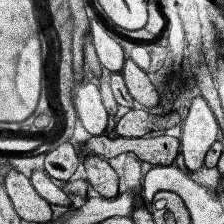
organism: Human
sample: Temporal Lobe